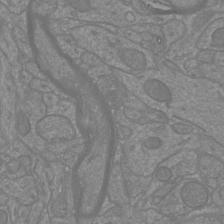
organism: Mouse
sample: Cortical neurons